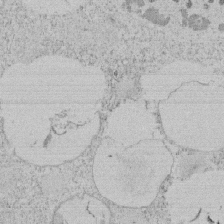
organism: Tetrahymena